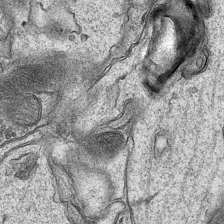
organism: Mouse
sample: CA1 Hippocampus